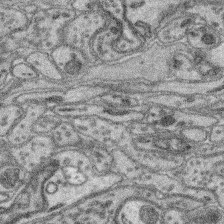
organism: Mouse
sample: Retina